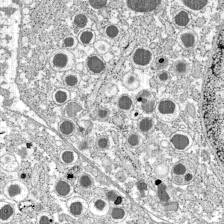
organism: C57BL Mouse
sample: Pancreatic islet